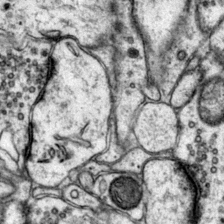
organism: Mouse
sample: Primary visual cortex